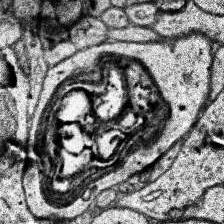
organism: Human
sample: Temporal Lobe